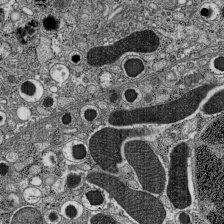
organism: C57BL Mouse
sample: Pancreatic islet